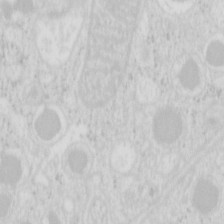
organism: Mouse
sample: Pancreas